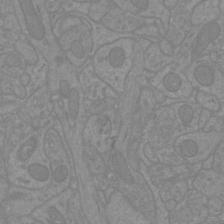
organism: Mouse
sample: Cortical neurons